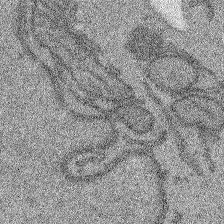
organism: Human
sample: HeLa cells